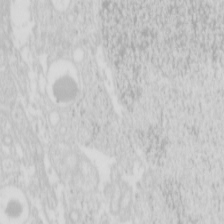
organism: Mouse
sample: Pancreas